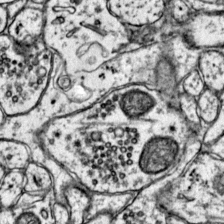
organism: Mouse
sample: Primary visual cortex